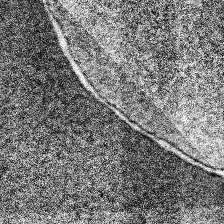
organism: Human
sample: Temporal Lobe